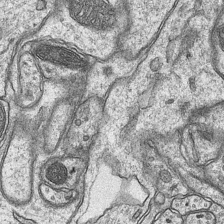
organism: Mouse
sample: CA1 Hippocampus